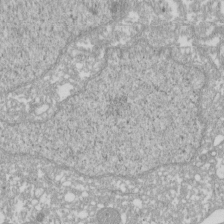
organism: Xenopus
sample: Cilia; centrioles in frog embryo cells